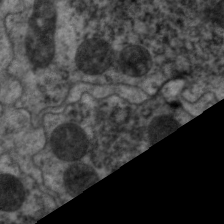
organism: C. elegans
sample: Pharynx